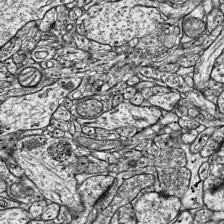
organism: Mouse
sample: Visual Cortex